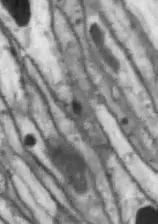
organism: Drosophila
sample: Optic lobe